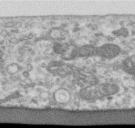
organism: Human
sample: Centriole in RPE cells